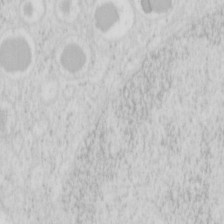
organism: Mouse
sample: Pancreas